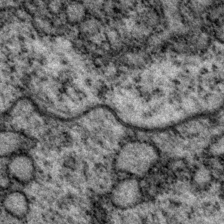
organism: P. pacificus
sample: Pharynx